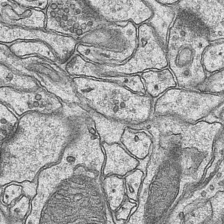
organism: Mouse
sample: CA1 Hippocampus